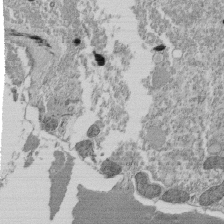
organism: Tetrahymena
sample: Cilia in tetrahymena